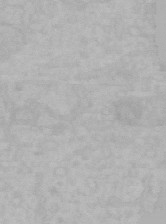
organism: Mouse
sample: Choroid plexus